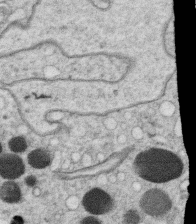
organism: C. elegans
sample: C. elegans oocyte; sperm cells